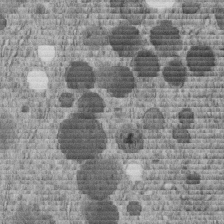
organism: C. elegans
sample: C. elegans embryo early stage